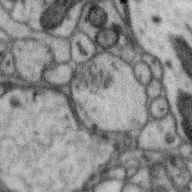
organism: Zebra finch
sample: Brain